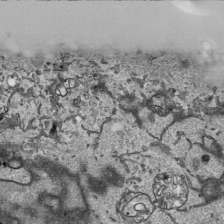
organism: Human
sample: Mitochondria in HCT116 cells